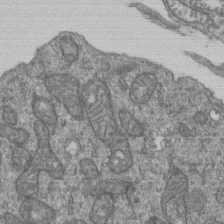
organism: Human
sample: Retinal organoid Rod and Cone cells